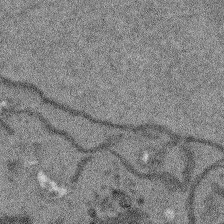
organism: Arabidopsis thaliana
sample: Root tip